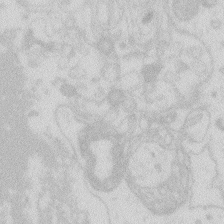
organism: Zebrafish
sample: Macrophage